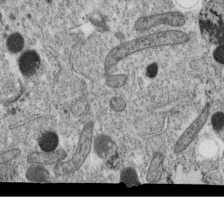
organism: C. elegans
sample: C. elegans oocyte; sperm cells